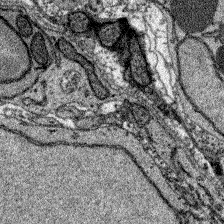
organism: Zebrafish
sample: Larval olfactory bulb